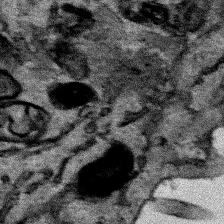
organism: Human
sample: Mitochondria in HCT116 cells